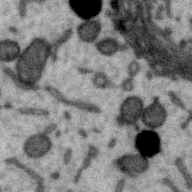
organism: Zebra finch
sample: Brain